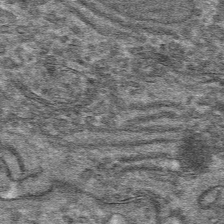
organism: Mouse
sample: Mouse hepatocytes